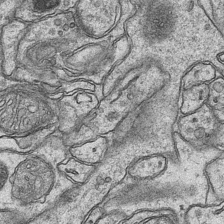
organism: Mouse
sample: CA1 Hippocampus